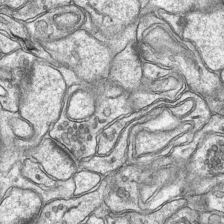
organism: Mouse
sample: CA1 Hippocampus